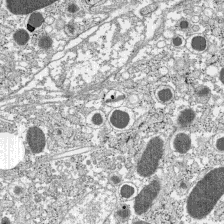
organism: C57BL Mouse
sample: Pancreatic islet